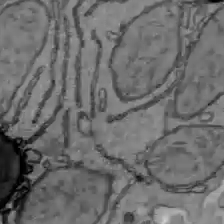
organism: C57BL Mouse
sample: Liver